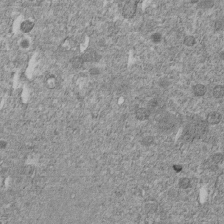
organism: C. elegans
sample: C. elegans embryo early stage